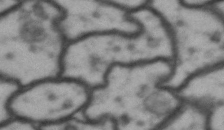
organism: Drosophila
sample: Brain